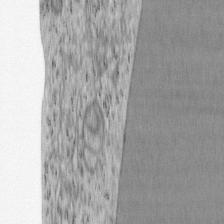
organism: Human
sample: HeLa cells